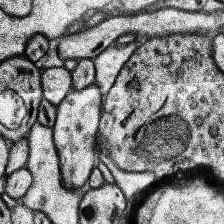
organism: Human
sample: Temporal Lobe